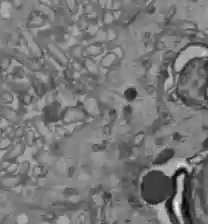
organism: C57BL Mouse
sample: Liver